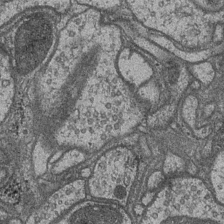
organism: Drosophila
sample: Optic medulla